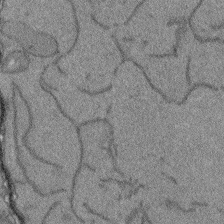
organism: Arabidopsis thaliana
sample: Root tip